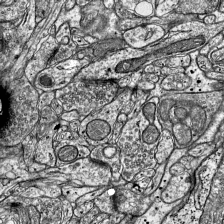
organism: Mouse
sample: Visual Cortex